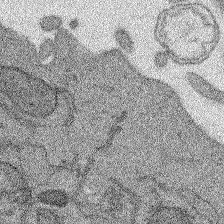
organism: Human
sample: HeLa cells